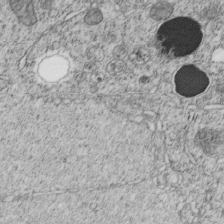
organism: C. elegans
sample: C. elegans embryo early stage